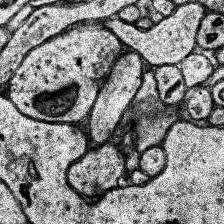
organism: Human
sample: Temporal Lobe